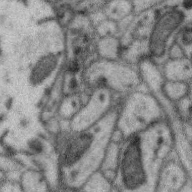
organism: Zebra finch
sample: Brain